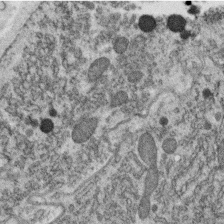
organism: C. elegans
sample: C. elegans oocyte; sperm cells